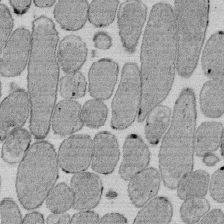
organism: E. coli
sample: Bacterial nucleoid